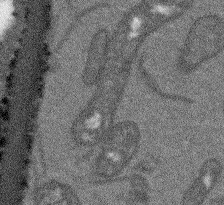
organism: Arabidopsis thaliana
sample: Root tip